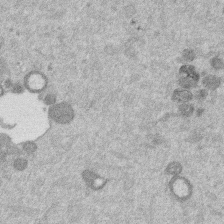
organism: Mouse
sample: Dividing mouse embryo 1 cell stage